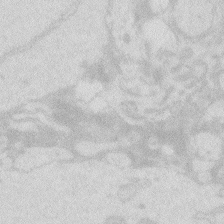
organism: Zebrafish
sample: Macrophage